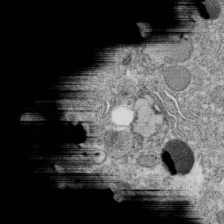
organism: C. elegans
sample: C. elegans oocyte; sperm cells